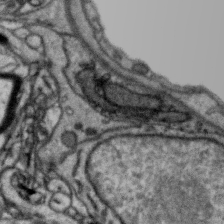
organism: Zebra finch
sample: Brain